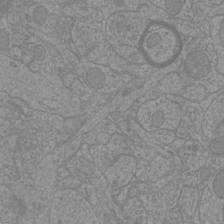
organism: Mouse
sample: Cortical neurons